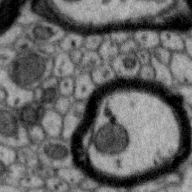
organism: Zebra finch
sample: Brain